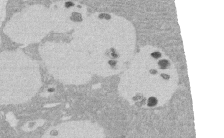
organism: Rat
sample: Salivary granule